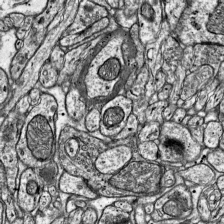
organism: Mouse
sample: Visual Cortex